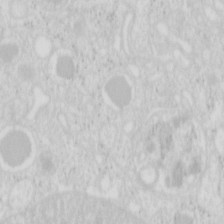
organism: Mouse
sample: Pancreas